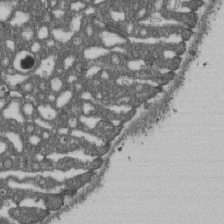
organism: Drosophila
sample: Nephrocyte